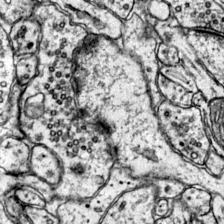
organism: Mouse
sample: Primary visual cortex